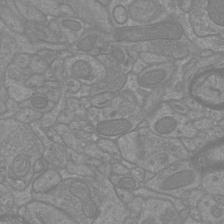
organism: Mouse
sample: Cortical neurons